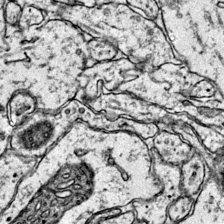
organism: Mouse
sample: Primary visual cortex